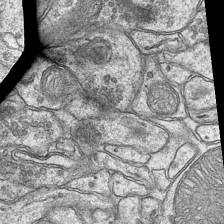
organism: Mouse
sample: CA1 Hippocampus